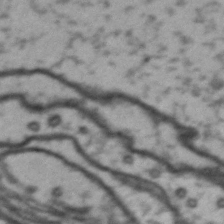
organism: Drosophila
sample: Brain